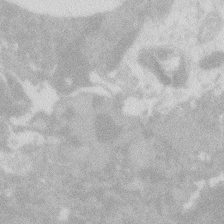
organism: Zebrafish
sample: Macrophage